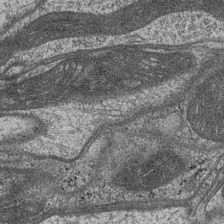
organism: Drosophila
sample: Optic medulla